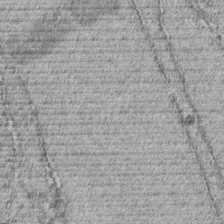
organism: C. elegans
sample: C. elegans embryo early stage